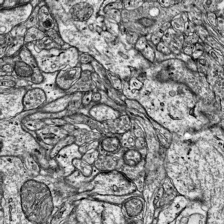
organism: Mouse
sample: Visual Cortex